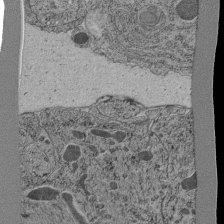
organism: C. elegans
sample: C. elegans pharynx